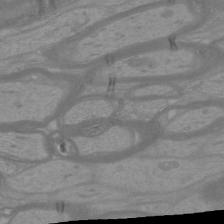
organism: Mouse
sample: Cortical neurons